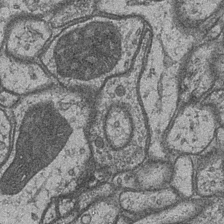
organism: Drosophila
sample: Optic medulla